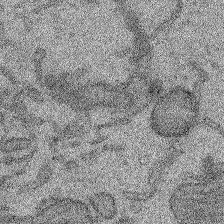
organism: Human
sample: HeLa cells